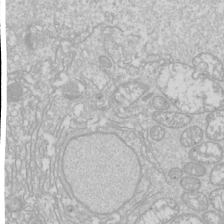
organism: Drosophila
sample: Cell division; meiosis; drosophila spermatocytes